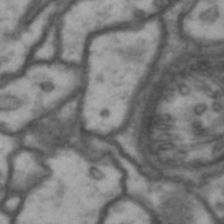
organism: Drosophila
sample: Brain